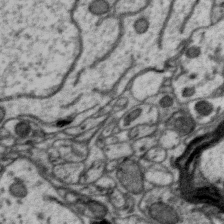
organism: Zebra finch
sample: Brain